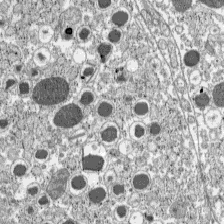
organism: C57BL Mouse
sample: Pancreatic islet